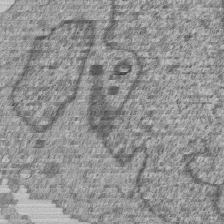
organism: Human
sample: MDA-MB-231 cells